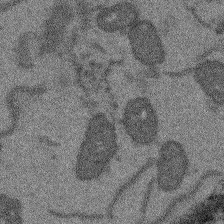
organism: Arabidopsis thaliana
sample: Root tip